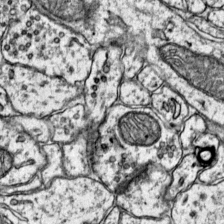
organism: Mouse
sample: Primary visual cortex